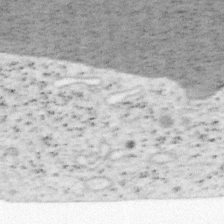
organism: Mouse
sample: OT-I killer T cells with ID8 ovarian cancer cells